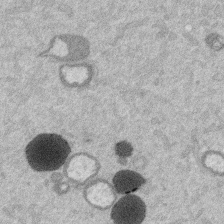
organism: Mouse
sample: Dividing mouse embryo 1 cell stage